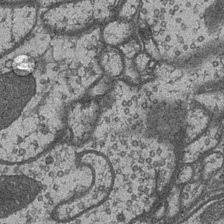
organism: Drosophila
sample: Optic medulla